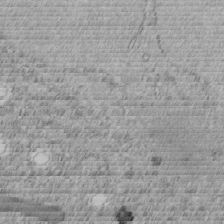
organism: C. elegans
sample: C. elegans embryo early stage